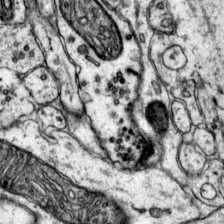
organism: Mouse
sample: Primary visual cortex